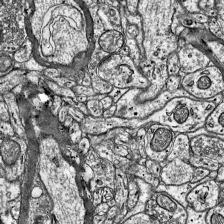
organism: Mouse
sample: Visual Cortex